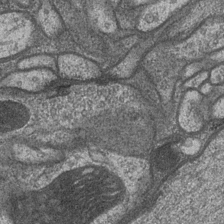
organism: Drosophila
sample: Optic medulla